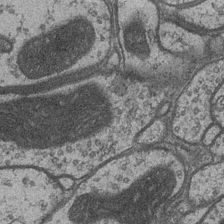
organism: Drosophila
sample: Optic medulla